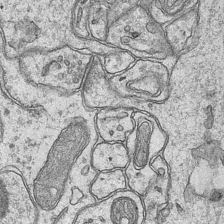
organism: Mouse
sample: CA1 Hippocampus